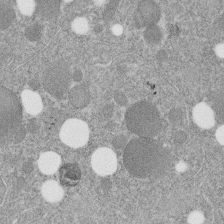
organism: C. elegans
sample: C. elegans embryo early stage